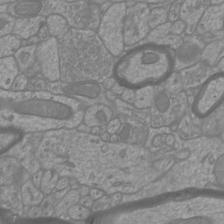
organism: Mouse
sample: Cortical neurons